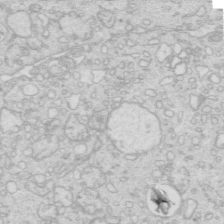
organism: Mouse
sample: Multiciliated cells